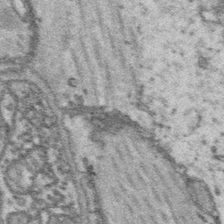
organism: Platynereis dumerilii